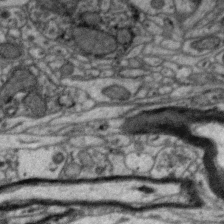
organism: Zebra finch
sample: Brain